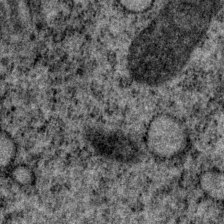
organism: P. pacificus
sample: Pharynx